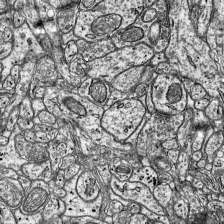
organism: Mouse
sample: Visual Cortex